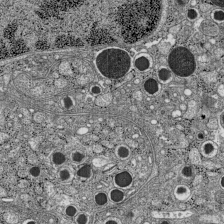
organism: C57BL Mouse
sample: Pancreatic islet